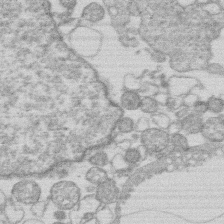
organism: Human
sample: Macrophage cells